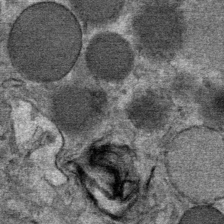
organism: Mouse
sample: Mouse Salivary gland